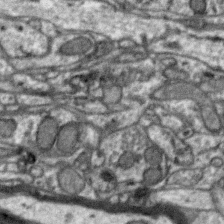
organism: Zebra finch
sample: Brain